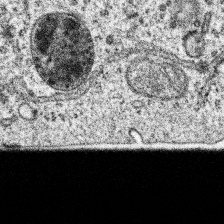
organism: Human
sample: HeLa cells